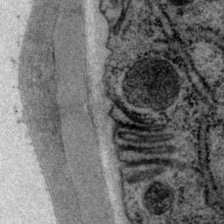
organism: P. pacificus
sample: Pharynx